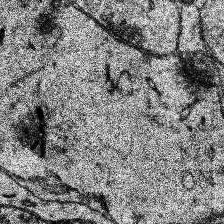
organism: Human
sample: Temporal Lobe